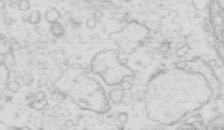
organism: Mouse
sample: Multiciliated cells